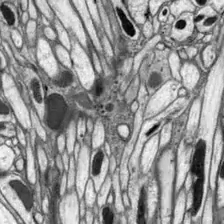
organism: Drosophila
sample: Optic lobe